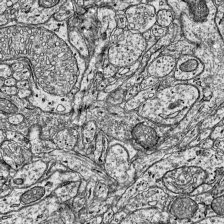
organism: Mouse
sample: Visual Cortex